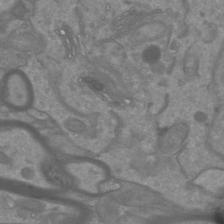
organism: Mouse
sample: Cortical neurons